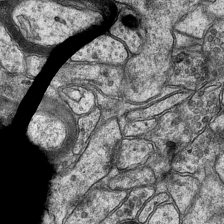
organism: Mouse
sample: CA1 Hippocampus